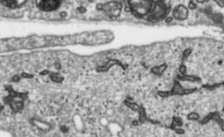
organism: Toxoplasma gondii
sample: Parasites in a vacuole inside a host cell